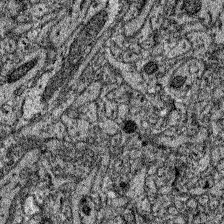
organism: Zebrafish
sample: Larval olfactory bulb